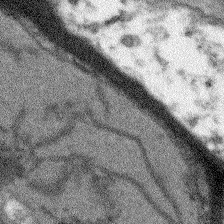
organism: Arabidopsis thaliana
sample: Root tip